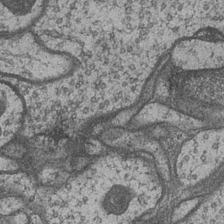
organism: Drosophila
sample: Optic medulla